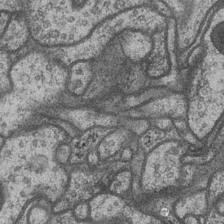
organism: Drosophila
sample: Optic medulla